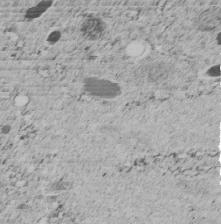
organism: C. elegans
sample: C. elegans embryo early stage